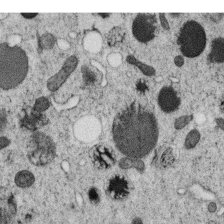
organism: C. elegans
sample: C. elegans oocyte; sperm cells